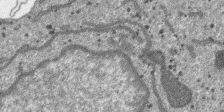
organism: Human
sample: Lung epithelial cells infected with SARS-CoV-2